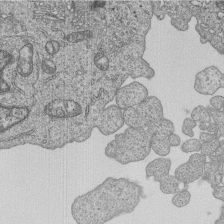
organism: Human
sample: MDA-MB-231 cells